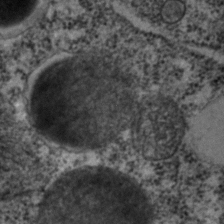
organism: C. elegans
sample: C. elegans embryo